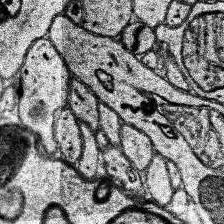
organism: Human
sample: Temporal Lobe